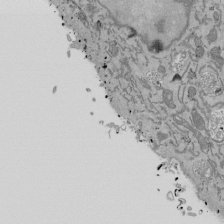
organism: Mouse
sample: ED-1 cell nuclei; centrioles